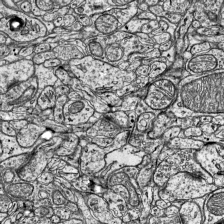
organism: Mouse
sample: Visual Cortex